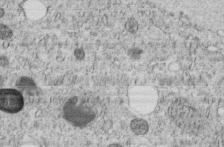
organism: C. elegans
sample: C. elegans embryo early stage